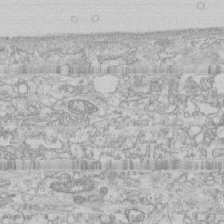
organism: Human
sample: CRL-1474